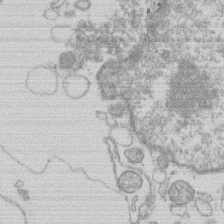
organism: Human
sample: Macrophage cells